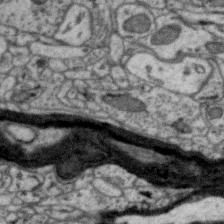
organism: Zebra finch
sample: Brain